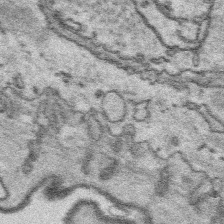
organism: Platynereis dumerilii